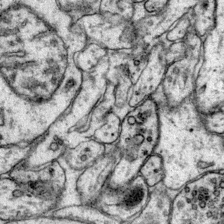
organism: Mouse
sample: Primary visual cortex